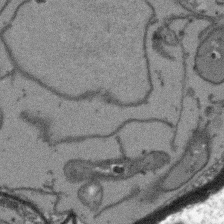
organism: Arabidopsis thaliana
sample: Root tip